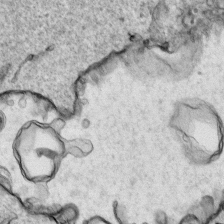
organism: Human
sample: Mitochondria in HCT116 cells